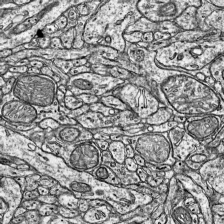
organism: Mouse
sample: Visual Cortex